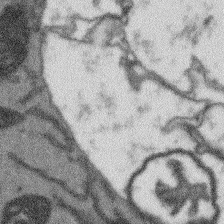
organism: Arabidopsis thaliana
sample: Root tip